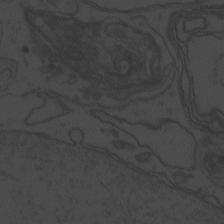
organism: Zebrafish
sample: Macrophage infected with Toxoplasma gondii